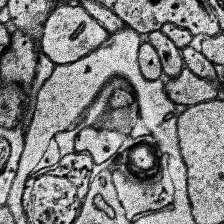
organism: Human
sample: Temporal Lobe